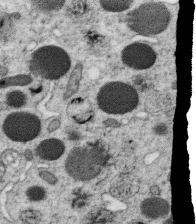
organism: C. elegans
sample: C. elegans oocyte; sperm cells